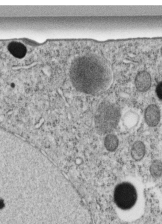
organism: C. elegans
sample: C. elegans embryo early stage